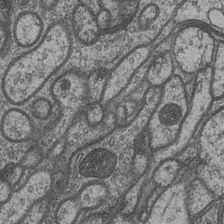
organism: Drosophila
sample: Optic medulla